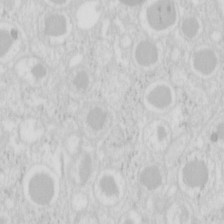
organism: Mouse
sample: Pancreas